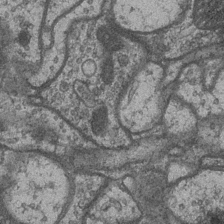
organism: Drosophila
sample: Optic medulla